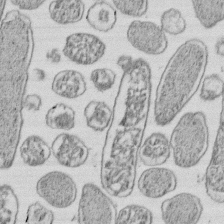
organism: E. coli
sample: Bacterial nucleoid